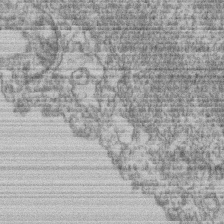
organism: Mouse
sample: T cell stromal cell synapse